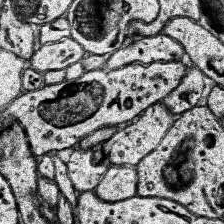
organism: Human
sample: Temporal Lobe